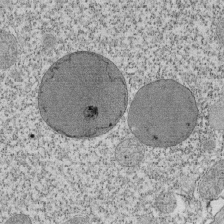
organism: Tetrahymena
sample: Cilia in tetrahymena